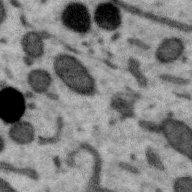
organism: Zebra finch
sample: Brain